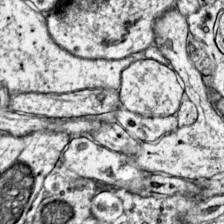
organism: Mouse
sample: Primary visual cortex